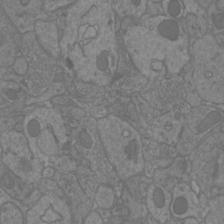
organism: Mouse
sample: Cortical neurons